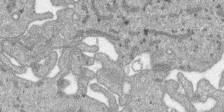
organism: Human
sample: Lung epithelial cells infected with SARS-CoV-2